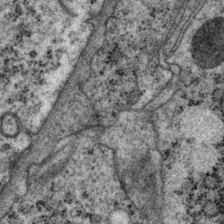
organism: P. pacificus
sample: Pharynx